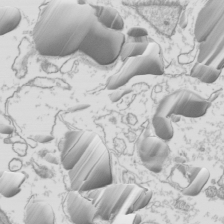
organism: Mouse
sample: Cilia; mouse epididymis